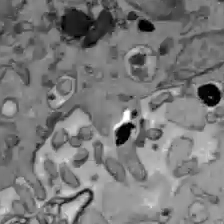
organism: C57BL Mouse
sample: Liver